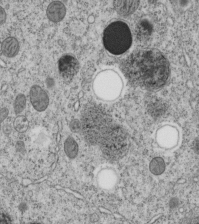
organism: C. elegans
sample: C. elegans embryo early stage